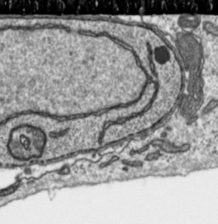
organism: Toxoplasma gondii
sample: Parasites in a vacuole inside a host cell